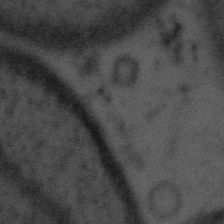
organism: Tuwongella immobilis